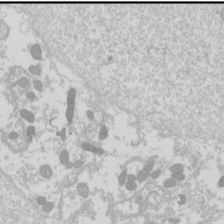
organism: Drosophila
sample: Cell division; meiosis; drosophila spermatocytes